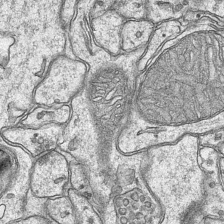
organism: Mouse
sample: CA1 Hippocampus